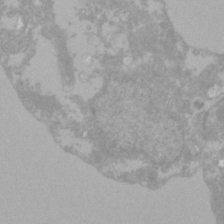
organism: Zebrafish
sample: Zebrafish embryo